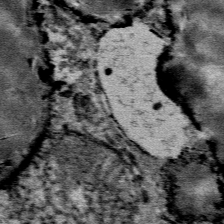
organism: Mouse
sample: Mouse Salivary gland